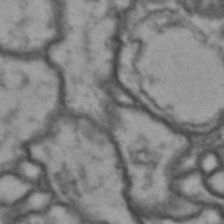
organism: Drosophila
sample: Brain